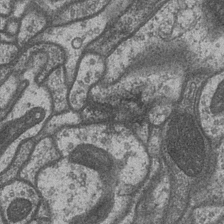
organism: Drosophila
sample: Optic medulla